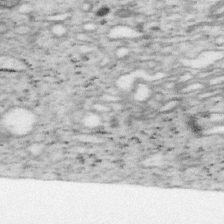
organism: Mouse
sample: OT-I killer T cells with ID8 ovarian cancer cells